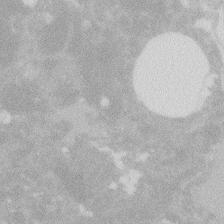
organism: Zebrafish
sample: Macrophage